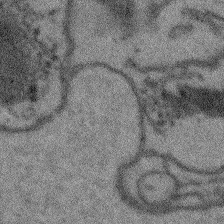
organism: Arabidopsis thaliana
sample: Root tip